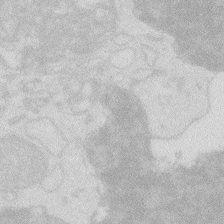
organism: Zebrafish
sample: Macrophage